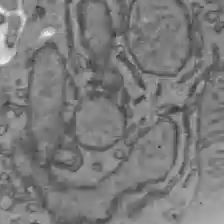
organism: C57BL Mouse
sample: Liver